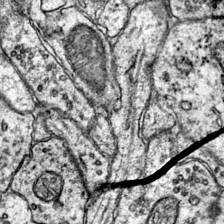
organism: Mouse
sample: Primary visual cortex